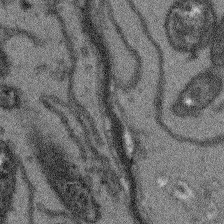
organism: Arabidopsis thaliana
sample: Root tip